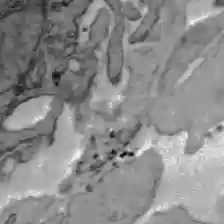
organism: C57BL Mouse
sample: Liver